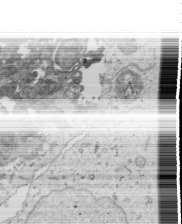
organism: Human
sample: Mitochondria in U2OS cells